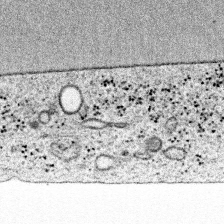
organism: Human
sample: HeLa cells